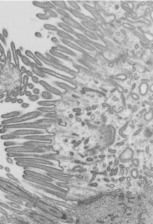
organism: Mouse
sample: Mouse epididymis efferent ductule cilia